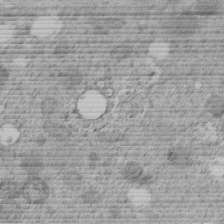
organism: C. elegans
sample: C. elegans embryo early stage